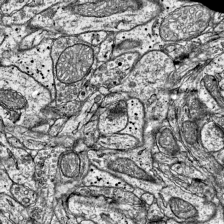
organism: Mouse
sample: Visual Cortex